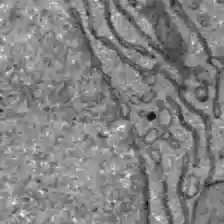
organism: C57BL Mouse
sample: Liver